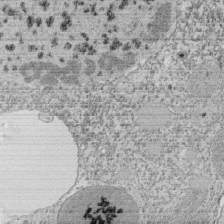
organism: Tetrahymena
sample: Cilia in tetrahymena